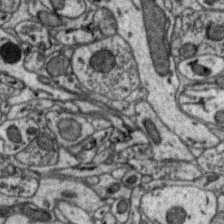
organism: Zebra finch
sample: Brain